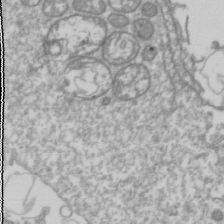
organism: Drosophila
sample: Cell division; meiosis; drosophila spermatocytes